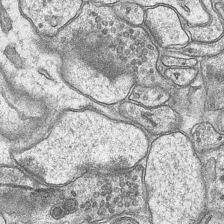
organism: Mouse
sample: CA1 Hippocampus